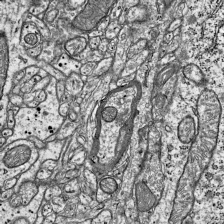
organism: Mouse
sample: Visual Cortex